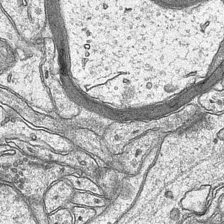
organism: Mouse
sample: CA1 Hippocampus